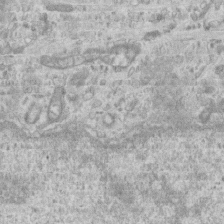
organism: Mouse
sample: Centriole in ependymal cells